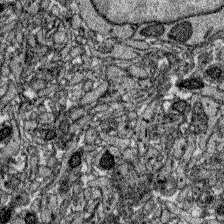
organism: Zebrafish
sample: Larval olfactory bulb